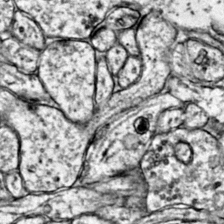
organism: Mouse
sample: Primary visual cortex